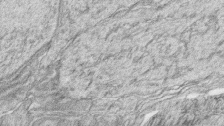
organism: Zebrafish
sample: synaptic ribbons in rod cells and cone cells